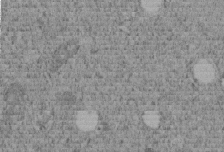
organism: C. elegans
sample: C. elegans embryo early stage